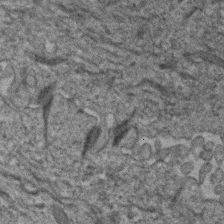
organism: Human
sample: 1205lu cells